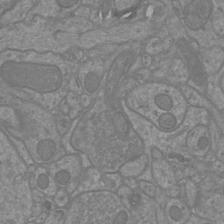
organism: Mouse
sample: Cortical neurons